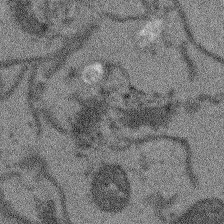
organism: Arabidopsis thaliana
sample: Root tip